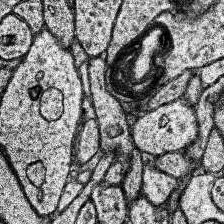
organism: Human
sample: Temporal Lobe